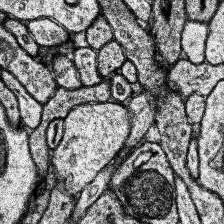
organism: Human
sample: Temporal Lobe